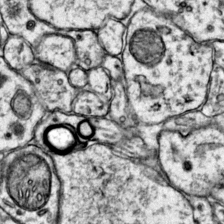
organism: Mouse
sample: Primary visual cortex